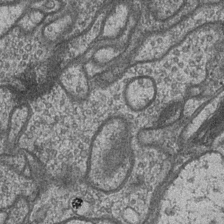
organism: Drosophila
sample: Optic medulla